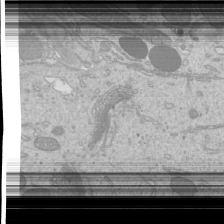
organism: Mouse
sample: Cilia; mouse epididymis